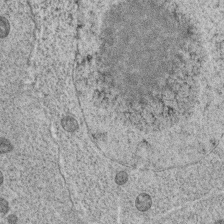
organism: C. elegans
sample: C. elegans oocyte; sperm cells